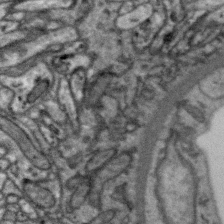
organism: Zebra finch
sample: Brain